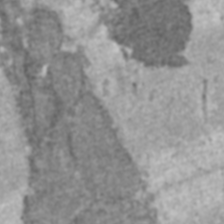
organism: C57BL Mouse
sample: Heart